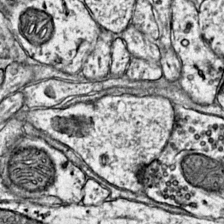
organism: Mouse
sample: Primary visual cortex